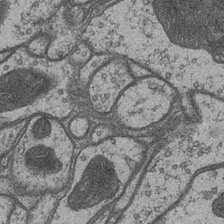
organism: Drosophila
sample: Optic medulla